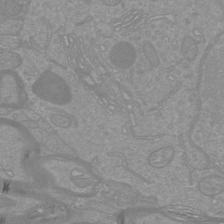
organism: Mouse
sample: Cortical neurons